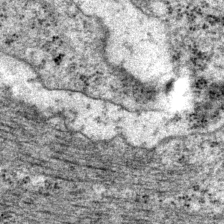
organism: P. pacificus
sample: Pharynx